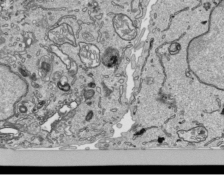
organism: Human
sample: Mitochondria in HCT116 cells